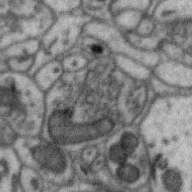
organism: Zebra finch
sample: Brain